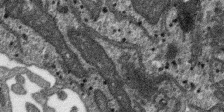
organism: Human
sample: Lung epithelial cells infected with SARS-CoV-2